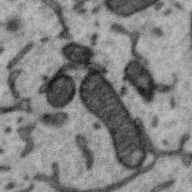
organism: Zebra finch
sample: Brain